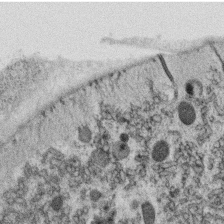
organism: C. elegans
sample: C. elegans oocyte; sperm cells